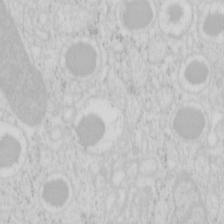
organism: Mouse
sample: Pancreas